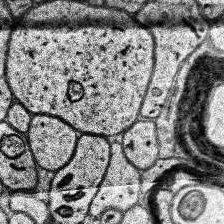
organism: Human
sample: Temporal Lobe